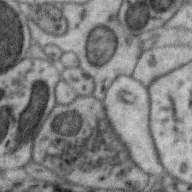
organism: Zebra finch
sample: Brain